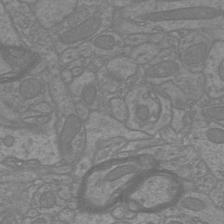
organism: Mouse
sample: Cortical neurons